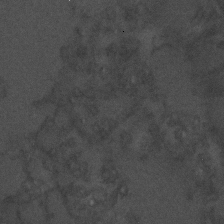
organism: C. elegans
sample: C. elegans embryo